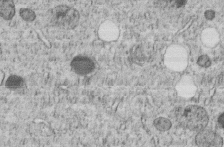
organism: C. elegans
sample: C. elegans embryo early stage